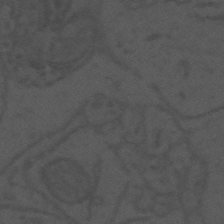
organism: Mouse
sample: Suprachiasmatic nucleus